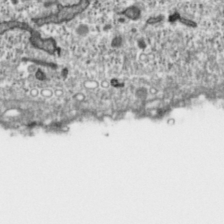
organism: Toxoplasma gondii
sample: Parasites in a vacuole inside a host cell